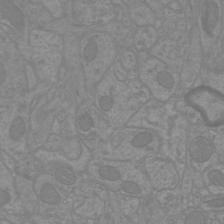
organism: Mouse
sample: Cortical neurons